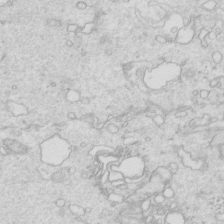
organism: Mouse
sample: Multiciliated cells